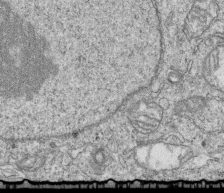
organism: Human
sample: HeLa cell HIV synapse